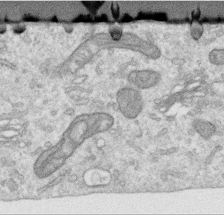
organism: Human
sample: Centriole in RPE cells